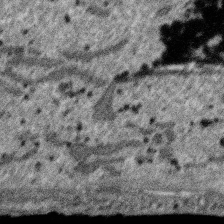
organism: Human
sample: Lung epithelial cells infected with SARS-CoV-2